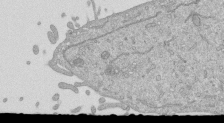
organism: Mouse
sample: ED-1 cell nuclei; centrioles